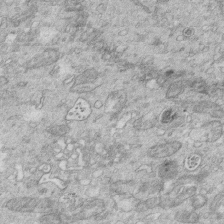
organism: Mouse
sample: Multiciliated cells